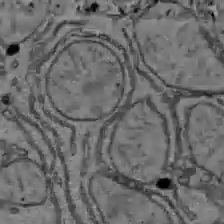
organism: C57BL Mouse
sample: Liver